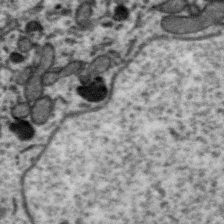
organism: Zebra finch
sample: Brain